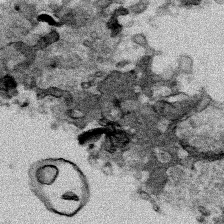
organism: Human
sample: Mitochondria in HCT116 cells